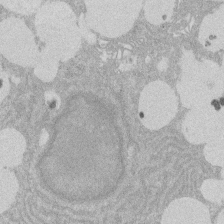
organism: Rat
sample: Salivary granule